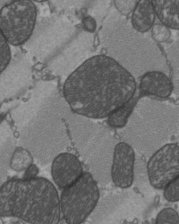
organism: C57BL Mouse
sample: Heart